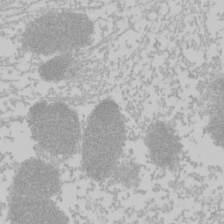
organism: Mouse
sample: Cancer cell death in ED-1 cells